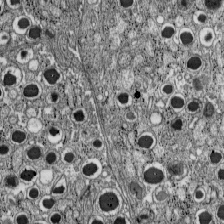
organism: C57BL Mouse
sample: Pancreatic islet